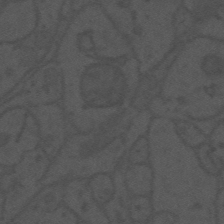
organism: Mouse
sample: Suprachiasmatic nucleus